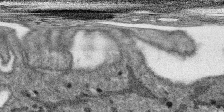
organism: Human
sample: Lung epithelial cells infected with SARS-CoV-2